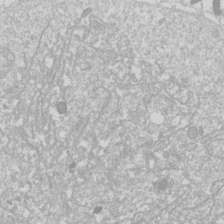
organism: Drosophila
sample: Cell division; meiosis; drosophila spermatocytes